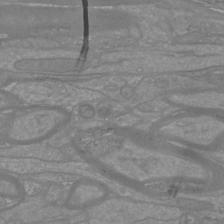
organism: Mouse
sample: Cortical neurons